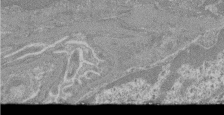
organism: Mouse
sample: Glomerulus